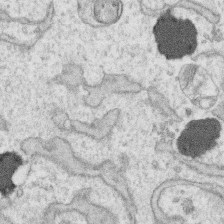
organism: Human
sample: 1205lu cells